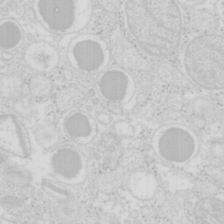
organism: Mouse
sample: Pancreas